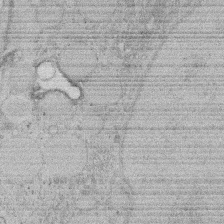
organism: Rat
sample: Salivary granule